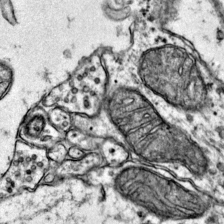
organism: Mouse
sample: Primary visual cortex